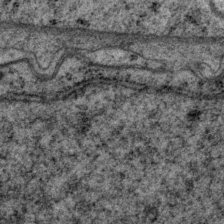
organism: P. pacificus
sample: Pharynx